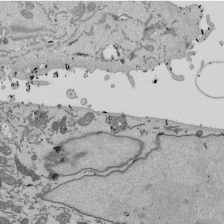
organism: Mouse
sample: ED-1 cell nuclei; centrioles